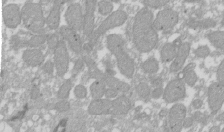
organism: Xenopus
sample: Cilia; centrioles in frog embryo cells